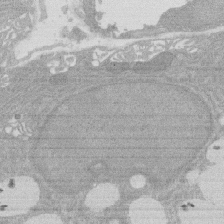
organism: Rat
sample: Salivary granule